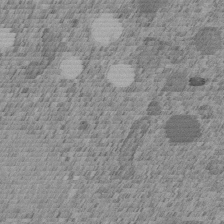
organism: C. elegans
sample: C. elegans embryo early stage